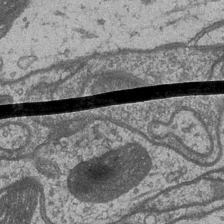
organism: Drosophila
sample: Optic medulla